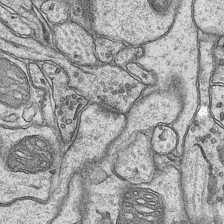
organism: Mouse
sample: CA1 Hippocampus